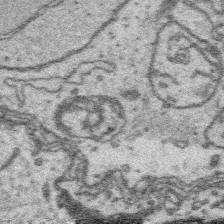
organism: Platynereis dumerilii